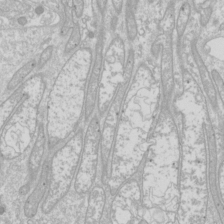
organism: Drosophila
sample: Cell division; meiosis; drosophila spermatocytes